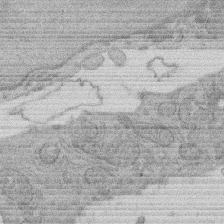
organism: Rat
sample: Salivary granule